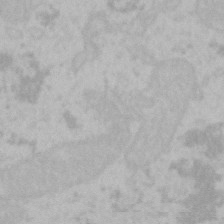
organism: Mouse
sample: Choroid plexus